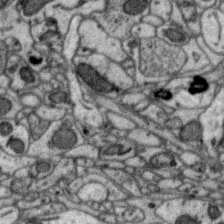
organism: Zebra finch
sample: Brain